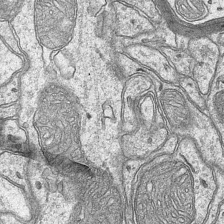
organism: Mouse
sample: CA1 Hippocampus